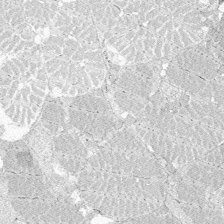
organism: Zebrafish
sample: Whole-Brain